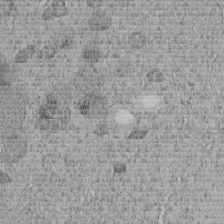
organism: C. elegans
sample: C. elegans embryo early stage